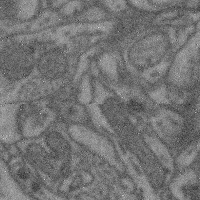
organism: Mouse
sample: Cerebral cortex